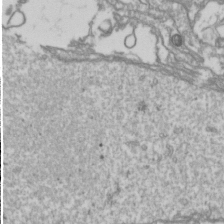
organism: Drosophila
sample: Cell division; meiosis; drosophila spermatocytes